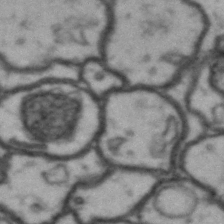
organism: Drosophila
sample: Brain